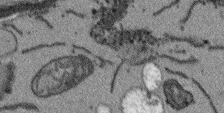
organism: Arabidopsis thaliana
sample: Root tip